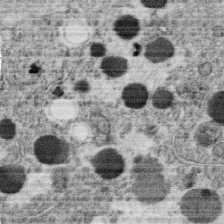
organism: C. elegans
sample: C. elegans oocyte; sperm cells